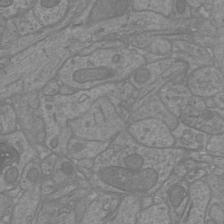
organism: Mouse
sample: Cortical neurons